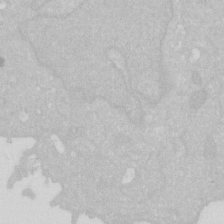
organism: Human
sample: HIV infected U937 cells